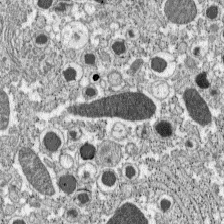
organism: C57BL Mouse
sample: Pancreatic islet